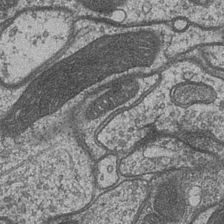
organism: Drosophila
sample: Optic medulla